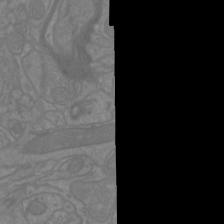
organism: Mouse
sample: Cortical neurons